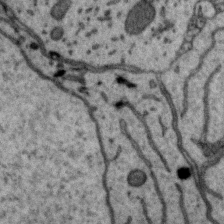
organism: Zebra finch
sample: Brain